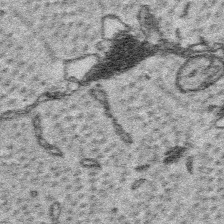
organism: Platynereis dumerilii